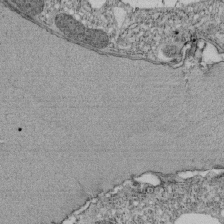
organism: Tetrahymena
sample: Cilia in tetrahymena